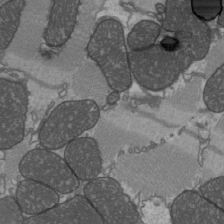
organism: C57BL Mouse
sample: Heart